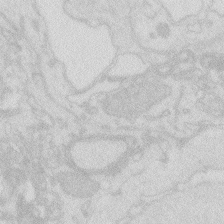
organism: Zebrafish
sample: Macrophage